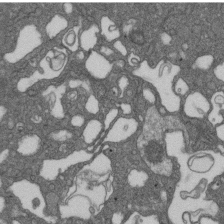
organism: Drosophila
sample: Nephrocyte